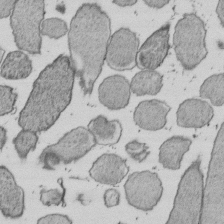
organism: E. coli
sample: Bacterial nucleoid